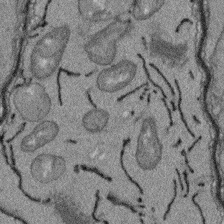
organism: Arabidopsis thaliana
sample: Root tip